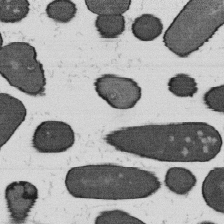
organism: B. subtilis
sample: Bacterial spore